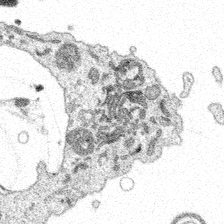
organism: Spongilla lacustris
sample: Multiple